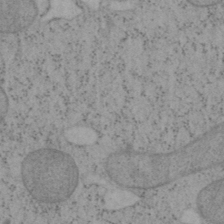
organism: Mouse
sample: OT-I killer T cells with ID8 ovarian cancer cells